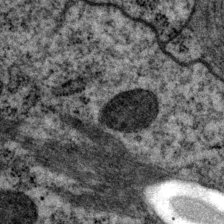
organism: P. pacificus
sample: Pharynx